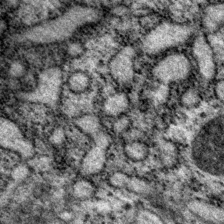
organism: P. pacificus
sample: Pharynx